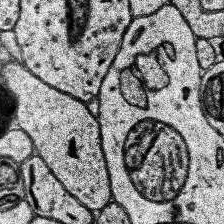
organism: Human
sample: Temporal Lobe